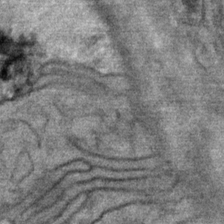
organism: Mouse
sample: Mouse Salivary gland